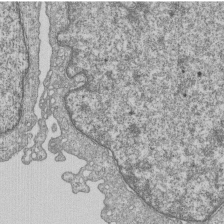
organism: Human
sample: MDA-MB-231 cells